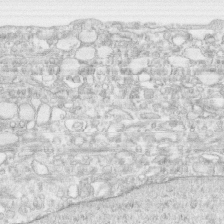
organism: Human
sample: CRL-1474